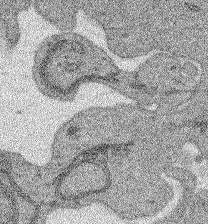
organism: Human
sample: HeLa cells